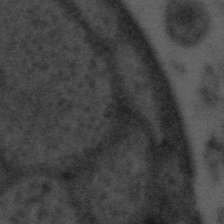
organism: Tuwongella immobilis